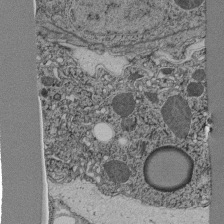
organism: C. elegans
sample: C. elegans pharynx